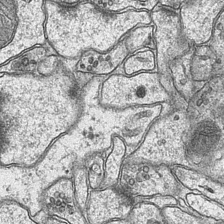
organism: Mouse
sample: CA1 Hippocampus